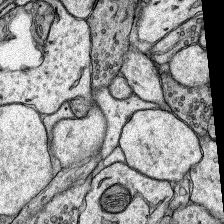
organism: Rat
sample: Hippocampus